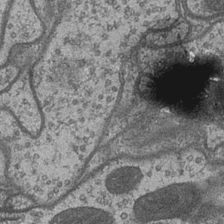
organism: Drosophila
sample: Optic medulla